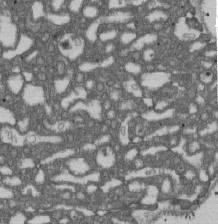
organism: Drosophila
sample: Nephrocyte